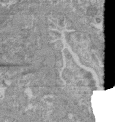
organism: Mouse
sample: Glomerulus